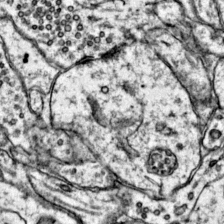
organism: Mouse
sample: Primary visual cortex